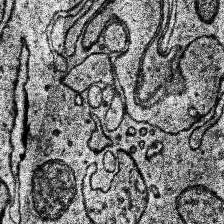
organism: Human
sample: Temporal Lobe